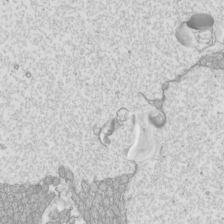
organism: Mouse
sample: Cilia; mouse epididymis